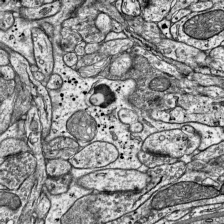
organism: Mouse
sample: Visual Cortex